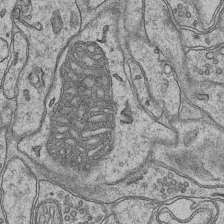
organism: Mouse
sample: CA1 Hippocampus